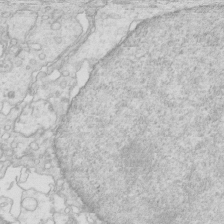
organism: Mouse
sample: Multiciliated cells